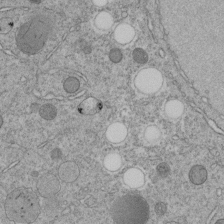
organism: C. elegans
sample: C. elegans embryo early stage